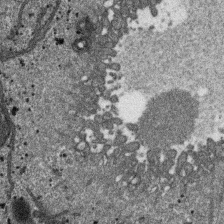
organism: Human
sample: Lung epithelial cells infected with SARS-CoV-2